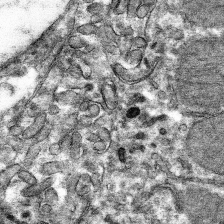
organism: Mouse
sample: Mouse hepatocytes